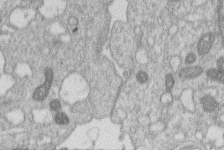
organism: Human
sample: Macrophage cells